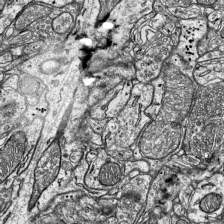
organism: Mouse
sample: Visual Cortex